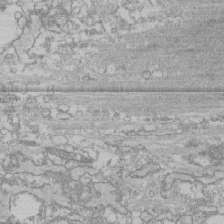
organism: Human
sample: CRL-1474